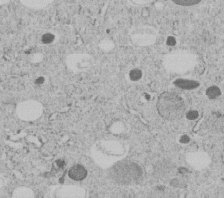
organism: C. elegans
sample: C. elegans embryo early stage